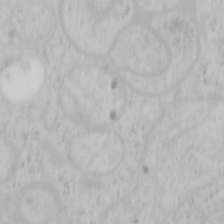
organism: Mouse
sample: OT-I killer T cells with ID8 ovarian cancer cells